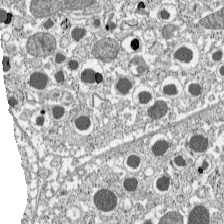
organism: C57BL Mouse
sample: Pancreatic islet